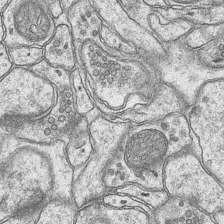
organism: Mouse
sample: CA1 Hippocampus